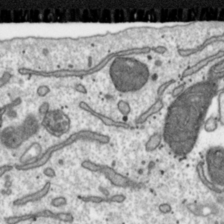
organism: Toxoplasma gondii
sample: Parasites in a vacuole inside a host cell